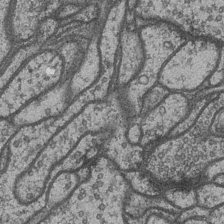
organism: Drosophila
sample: Optic medulla